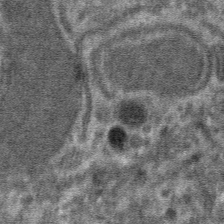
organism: Mouse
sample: Mouse hepatocytes